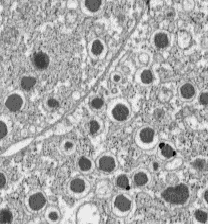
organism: C57BL Mouse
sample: Pancreatic islet